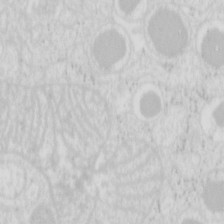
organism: Mouse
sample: Pancreas